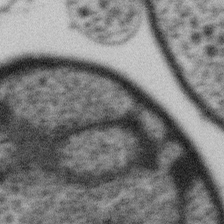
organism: Gemmata obscuriglobus